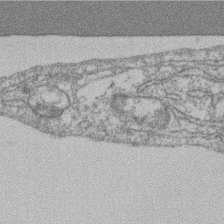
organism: Mouse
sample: T cell stromal cell synapse